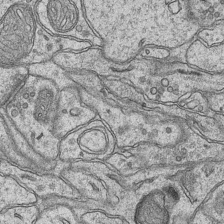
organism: Mouse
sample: CA1 Hippocampus